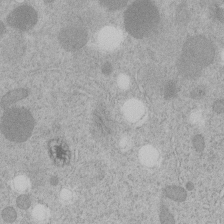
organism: C. elegans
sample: C. elegans embryo early stage